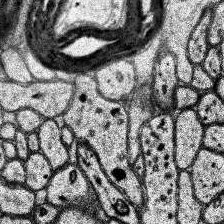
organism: Human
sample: Temporal Lobe